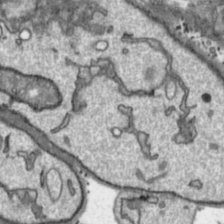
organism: Toxoplasma gondii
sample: Parasites in a vacuole inside a host cell